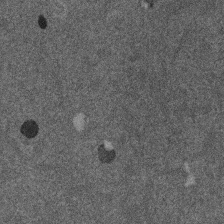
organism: Mouse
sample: Dividing mouse embryo 1 cell stage